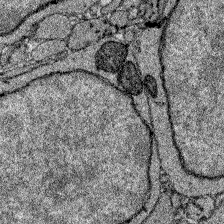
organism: Zebrafish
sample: Larval olfactory bulb